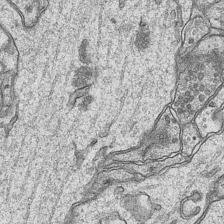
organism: Mouse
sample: CA1 Hippocampus